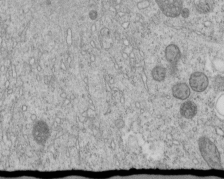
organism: C. elegans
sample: C. elegans embryo early stage